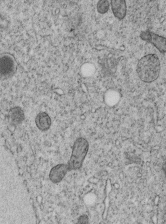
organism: C. elegans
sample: C. elegans embryo early stage